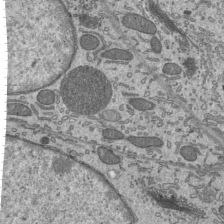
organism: Mouse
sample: Mouse epididymis efferent ductule cilia